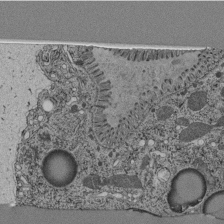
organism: C. elegans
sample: C. elegans pharynx